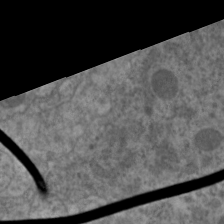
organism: C. elegans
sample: Pharynx